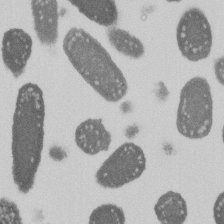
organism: E. coli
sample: Bacterial nucleoid